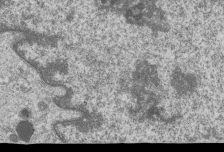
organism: Human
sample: MDA-MB-231 cells